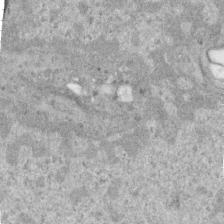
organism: Human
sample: Centriole in RPE cells